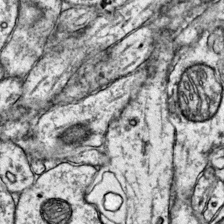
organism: Mouse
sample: Primary visual cortex